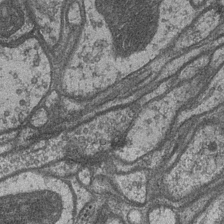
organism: Drosophila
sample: Optic medulla